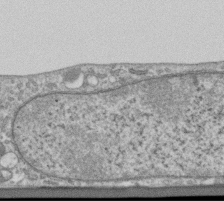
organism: Human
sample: Centriole in RPE cells